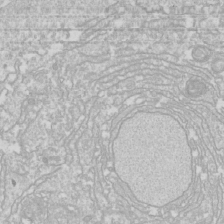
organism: Drosophila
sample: Cell division; meiosis; drosophila spermatocytes